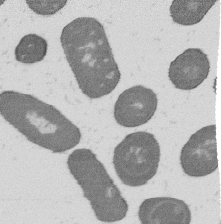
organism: B. subtilis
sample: Bacterial spore